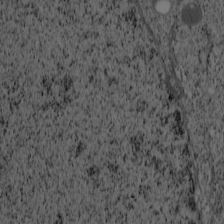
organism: African green monkey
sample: COS-7 cells